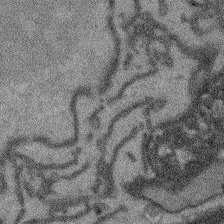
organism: Arabidopsis thaliana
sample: Root tip